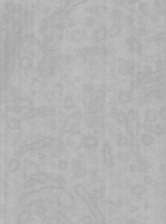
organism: Mouse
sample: Choroid plexus